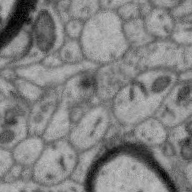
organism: Zebra finch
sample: Brain